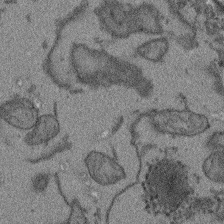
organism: Arabidopsis thaliana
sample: Root tip